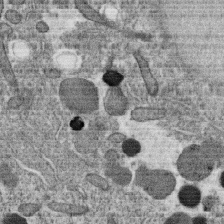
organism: C. elegans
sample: C. elegans oocyte; sperm cells